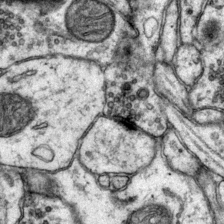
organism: Mouse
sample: Primary visual cortex